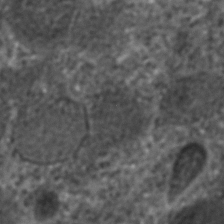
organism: C. elegans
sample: C. elegans embryo